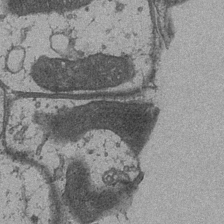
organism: Drosophila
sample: Optic medulla